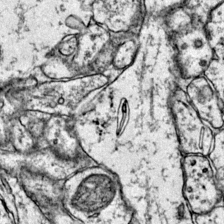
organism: Mouse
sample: Primary visual cortex